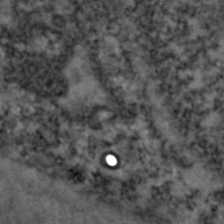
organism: Zebrafish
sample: Zebrafish embryo